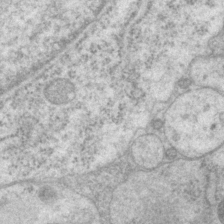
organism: P. pacificus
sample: Pharynx